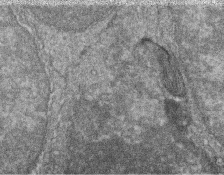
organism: Zebrafish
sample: Cilia; retinal pigment epithelium